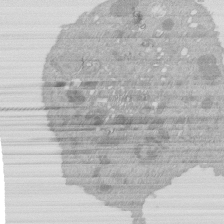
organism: Mouse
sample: Activated Pmel transgenic CD8+ T Cells